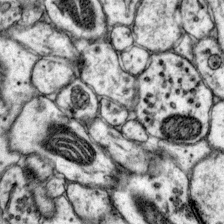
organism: Mouse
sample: Primary visual cortex